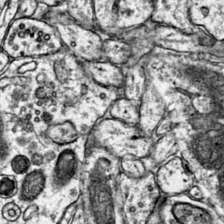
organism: Mouse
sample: Primary visual cortex